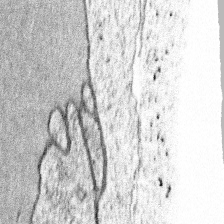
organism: Human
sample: HeLa cells